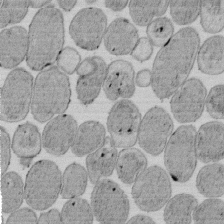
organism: E. coli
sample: Bacterial nucleoid